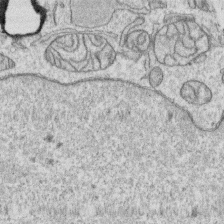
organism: Human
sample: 1205lu cells